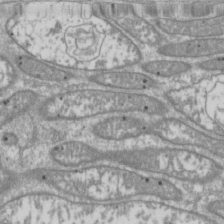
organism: Drosophila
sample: Cell division; meiosis; drosophila spermatocytes